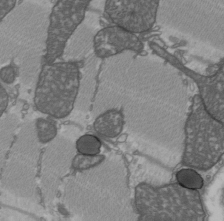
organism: C57BL Mouse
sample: Heart